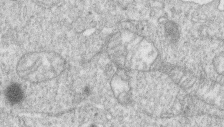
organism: Human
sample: HeLa cell HIV synapse